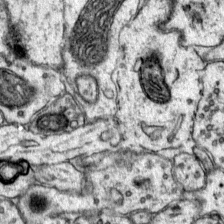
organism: Mouse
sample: Primary visual cortex